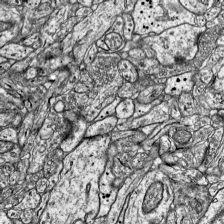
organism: Mouse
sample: Visual Cortex